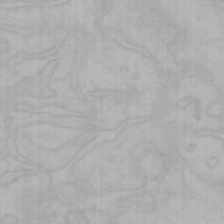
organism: Mouse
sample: Choroid plexus